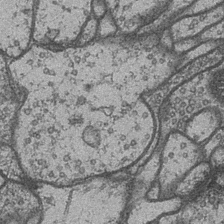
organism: Drosophila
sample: Optic medulla